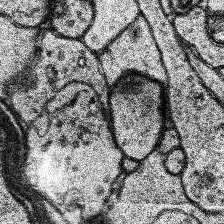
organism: Human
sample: Temporal Lobe